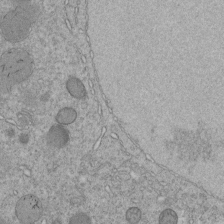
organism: C. elegans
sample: C. elegans embryo early stage